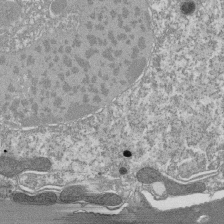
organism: Tetrahymena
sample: Cilia in tetrahymena